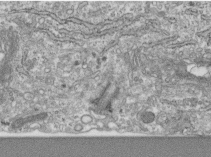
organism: Human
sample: Centriole in RPE cells